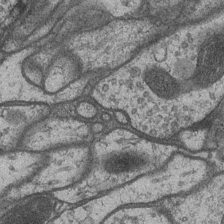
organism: Drosophila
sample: Optic medulla